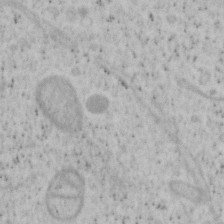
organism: Human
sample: HeLa cells